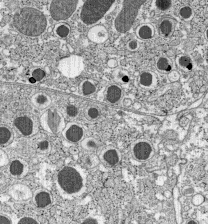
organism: C57BL Mouse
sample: Pancreatic islet